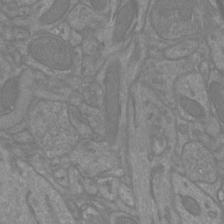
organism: Mouse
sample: Cortical neurons